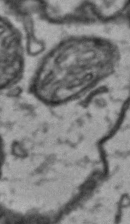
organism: Drosophila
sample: Brain